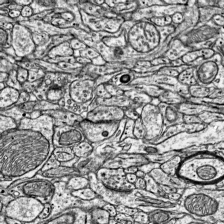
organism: Mouse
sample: Visual Cortex